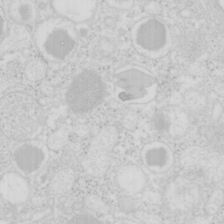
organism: Mouse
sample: Pancreas